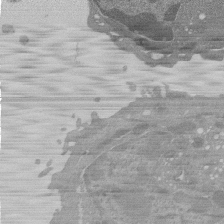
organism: Mouse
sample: Activated Pmel transgenic CD8+ T Cells